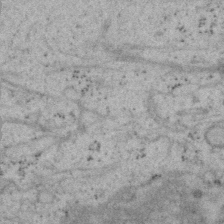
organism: Human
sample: HeLa cells